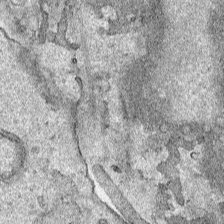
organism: Human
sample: Mitochondria in HCT116 cells